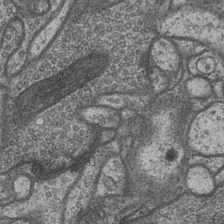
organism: Drosophila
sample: Optic medulla